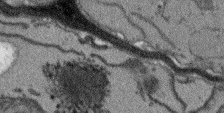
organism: Arabidopsis thaliana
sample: Root tip